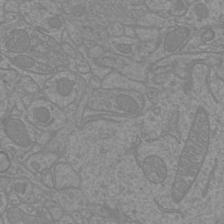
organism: Mouse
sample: Cortical neurons